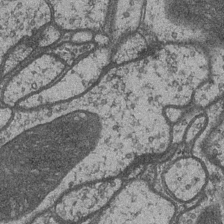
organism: Drosophila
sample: Optic medulla